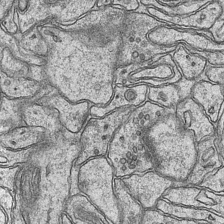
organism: Mouse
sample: CA1 Hippocampus